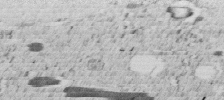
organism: C. elegans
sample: C. elegans embryo early stage